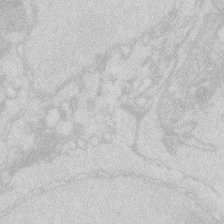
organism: Zebrafish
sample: Macrophage